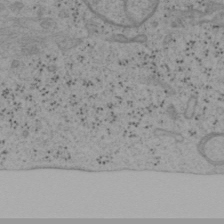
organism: Human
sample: HeLa cells